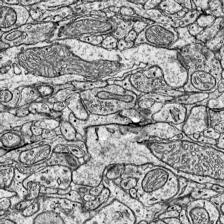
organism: Mouse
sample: Visual Cortex